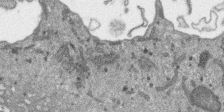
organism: Human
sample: Lung epithelial cells infected with SARS-CoV-2